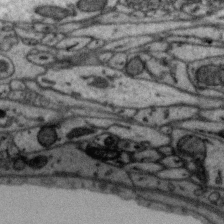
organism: Zebra finch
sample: Brain